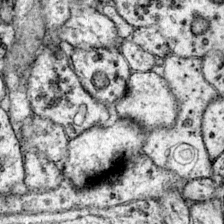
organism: Mouse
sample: Primary visual cortex